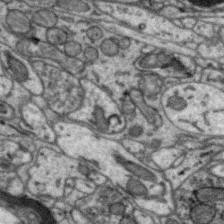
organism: Zebra finch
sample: Brain